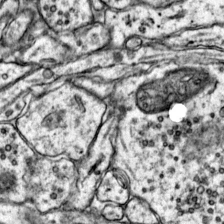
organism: Mouse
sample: Primary visual cortex